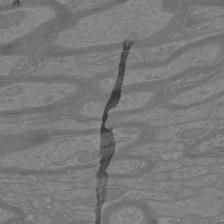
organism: Mouse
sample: Cortical neurons